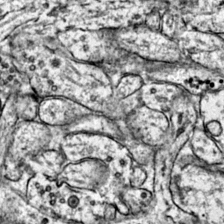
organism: Mouse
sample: Primary visual cortex